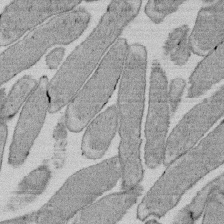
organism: E. coli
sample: Bacterial nucleoid